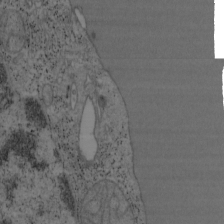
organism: Mouse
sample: OT-I killer T cells with ID8 ovarian cancer cells